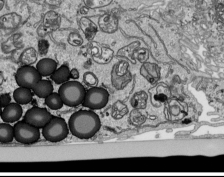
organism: Human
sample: Mitochondria in HCT116 cells